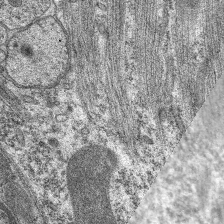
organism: C. elegans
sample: Pharynx